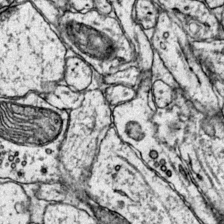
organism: Mouse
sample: Primary visual cortex